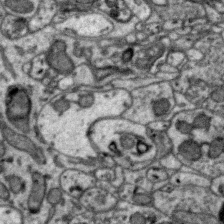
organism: Zebra finch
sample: Brain